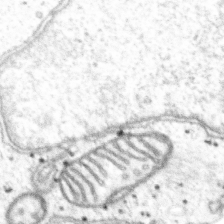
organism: Human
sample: HeLa cells